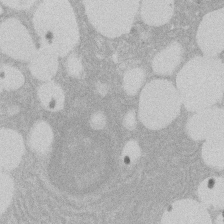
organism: Rat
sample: Salivary granule